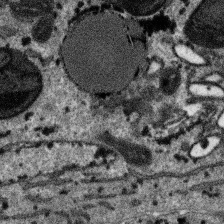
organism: Human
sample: Lung epithelial cells infected with SARS-CoV-2